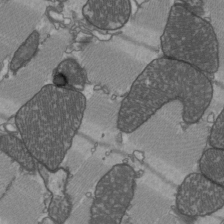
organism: C57BL Mouse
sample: Heart